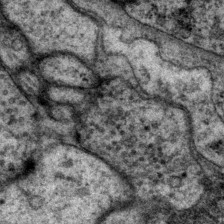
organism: P. pacificus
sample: Pharynx